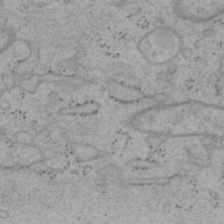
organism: Human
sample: HeLa cells